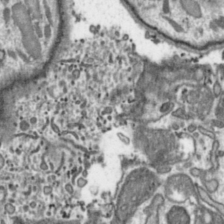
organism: Toxoplasma gondii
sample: Parasites in a vacuole inside a host cell